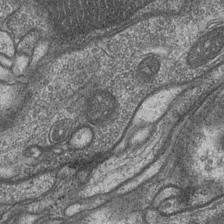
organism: Drosophila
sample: Optic medulla